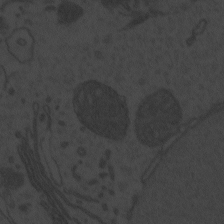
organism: Zebrafish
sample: Macrophage infected with Toxoplasma gondii